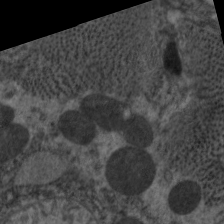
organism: C. elegans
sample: Pharynx